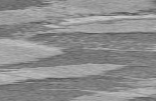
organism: C57BL Mouse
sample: Heart